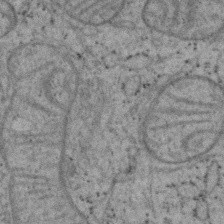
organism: Human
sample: HeLa cells